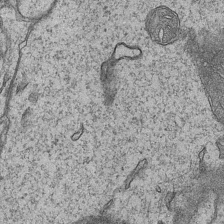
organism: Mouse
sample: CA1 Hippocampus